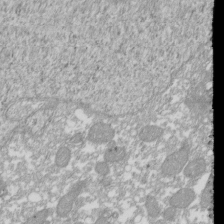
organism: Xenopus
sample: Cilia; centrioles in frog embryo cells